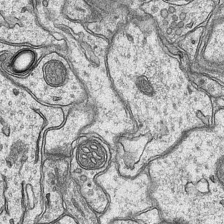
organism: Mouse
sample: CA1 Hippocampus